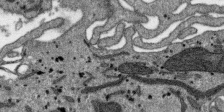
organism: Human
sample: Lung epithelial cells, uninfected (mock) control